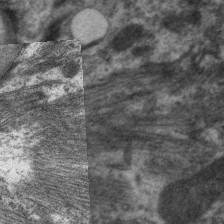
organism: C. elegans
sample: Pharynx